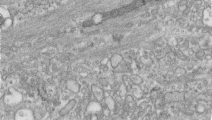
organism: Human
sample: Centriole in RPE cells